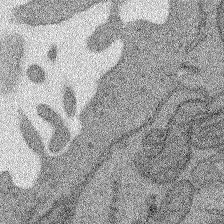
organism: Human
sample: HeLa cells